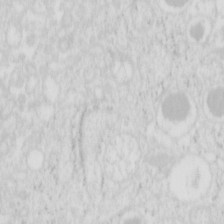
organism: Mouse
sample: Pancreas